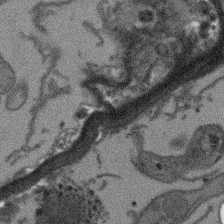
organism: Arabidopsis thaliana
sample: Root tip